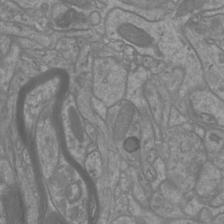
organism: Mouse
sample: Cortical neurons